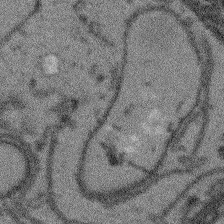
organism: Arabidopsis thaliana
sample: Root tip